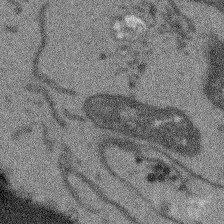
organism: Arabidopsis thaliana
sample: Root tip